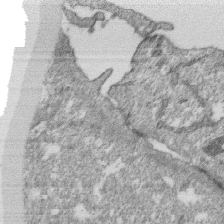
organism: African green monkey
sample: Vero E6 cells infected with SARS-CoV-2